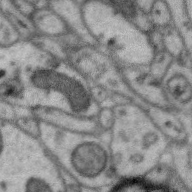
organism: Zebra finch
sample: Brain